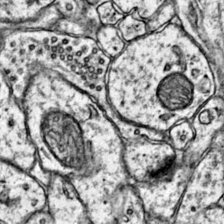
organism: Mouse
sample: Primary visual cortex